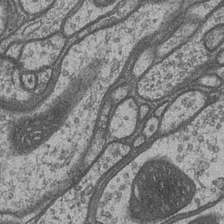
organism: Drosophila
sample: Optic medulla